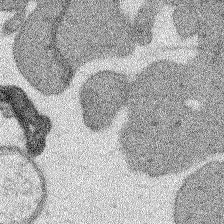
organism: Human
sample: HeLa cells